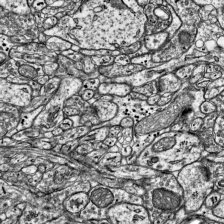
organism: Mouse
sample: Visual Cortex